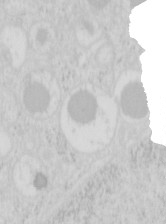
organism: Mouse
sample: Pancreas